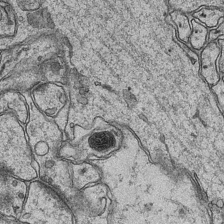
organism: Mouse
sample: CA1 Hippocampus